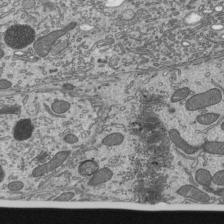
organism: Mouse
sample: Mouse epididymis efferent ductule cilia